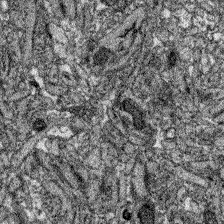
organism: Zebrafish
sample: Larval olfactory bulb